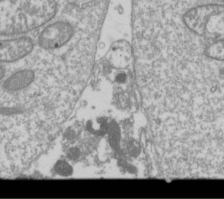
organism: Drosophila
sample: Cell division; meiosis; drosophila spermatocytes